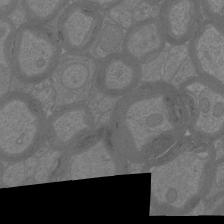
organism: Mouse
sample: Cortical neurons